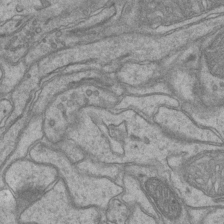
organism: Mouse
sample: CA1 Hippocampus